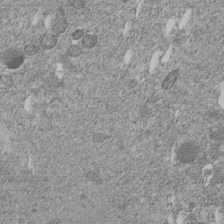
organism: C. elegans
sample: C. elegans embryo early stage